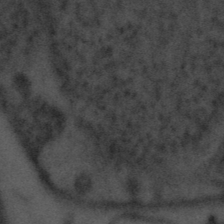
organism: Tuwongella immobilis